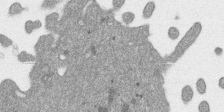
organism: Human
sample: Lung epithelial cells infected with SARS-CoV-2